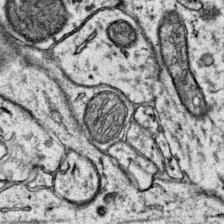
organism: Mouse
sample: Primary visual cortex